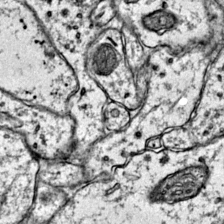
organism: Mouse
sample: Primary visual cortex